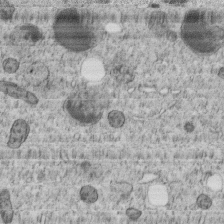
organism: C. elegans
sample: C. elegans embryo early stage